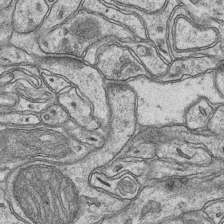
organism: Mouse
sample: CA1 Hippocampus